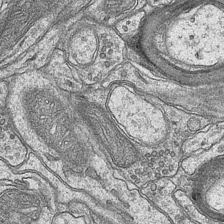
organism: Mouse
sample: CA1 Hippocampus